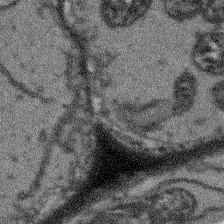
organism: Arabidopsis thaliana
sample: Root tip